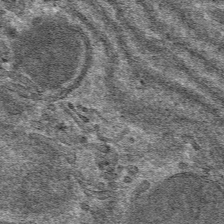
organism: Mouse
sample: Mouse hepatocytes